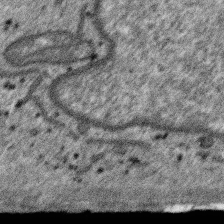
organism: Human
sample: Lung epithelial cells infected with SARS-CoV-2